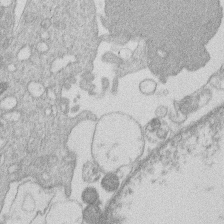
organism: Human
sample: Macrophage cells